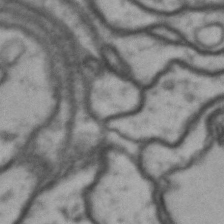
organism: Drosophila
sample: Brain